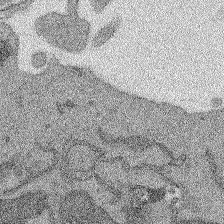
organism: Human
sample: HeLa cells